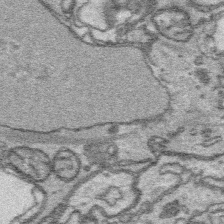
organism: Platynereis dumerilii